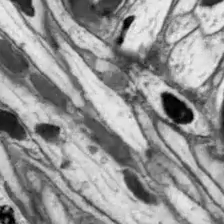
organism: Drosophila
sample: Optic lobe